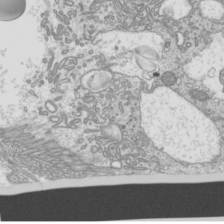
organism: Mouse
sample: Cilia; mouse epididymis